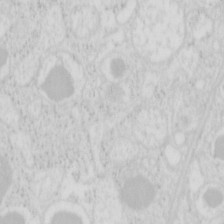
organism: Mouse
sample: Pancreas